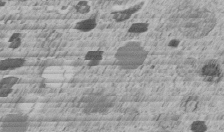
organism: C. elegans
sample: C. elegans embryo early stage